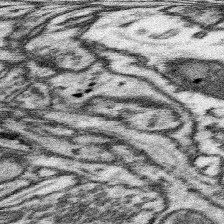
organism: Mouse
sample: Somatosensory cortex neuropil